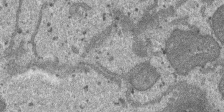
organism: Human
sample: Lung epithelial cells infected with SARS-CoV-2